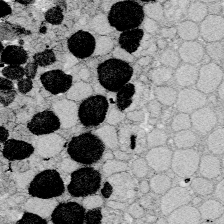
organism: Zebrafish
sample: Whole-Brain